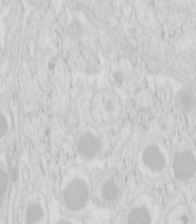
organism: Mouse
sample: Pancreas